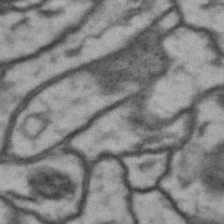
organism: Drosophila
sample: Brain